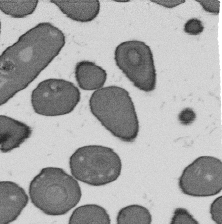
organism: B. subtilis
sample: Bacterial spore